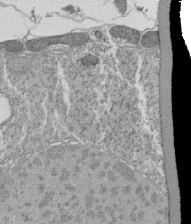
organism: Tetrahymena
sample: Cilia in tetrahymena